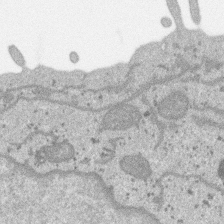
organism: Human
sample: Lung epithelial cells infected with SARS-CoV-2